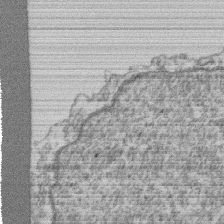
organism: Mouse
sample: T cell stromal cell synapse